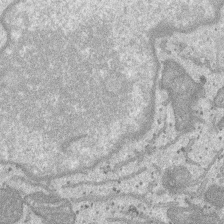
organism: Human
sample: Lung epithelial cells infected with SARS-CoV-2